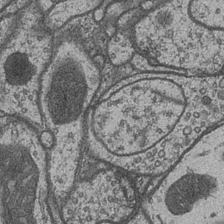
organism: Drosophila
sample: Optic medulla